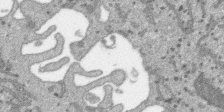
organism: Human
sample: Lung epithelial cells infected with SARS-CoV-2